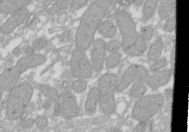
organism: Xenopus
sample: Cilia; centrioles in frog embryo cells